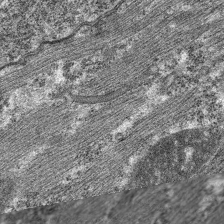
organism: C. elegans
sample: Pharynx